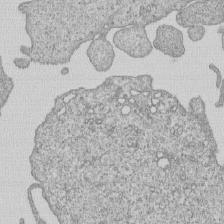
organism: Human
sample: MDA-MB-231 cells